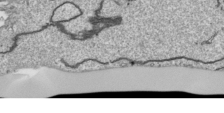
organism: Human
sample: Mitochondria in HCT116 cells